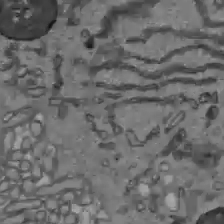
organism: C57BL Mouse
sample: Liver